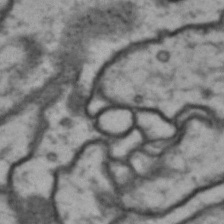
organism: Drosophila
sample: Brain